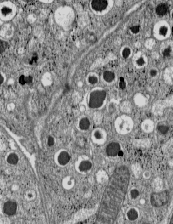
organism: C57BL Mouse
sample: Pancreatic islet